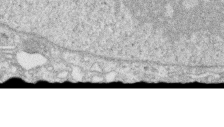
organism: Human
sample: HeLa cell HIV synapse